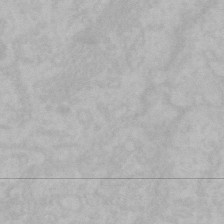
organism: Mouse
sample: Choroid plexus